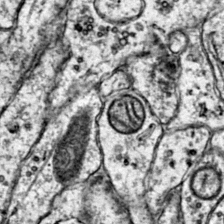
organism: Mouse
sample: Primary visual cortex